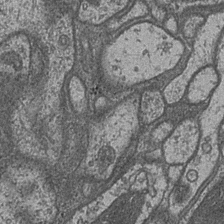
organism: Drosophila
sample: Optic medulla